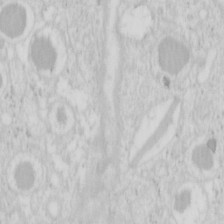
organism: Mouse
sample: Pancreas